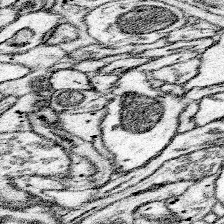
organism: Mouse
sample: Somatosensory cortex neuropil